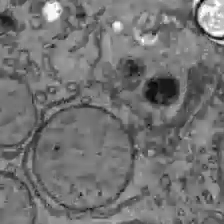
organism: C57BL Mouse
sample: Liver